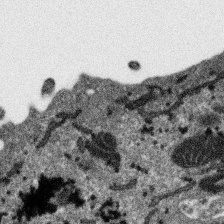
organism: Human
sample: Lung epithelial cells infected with SARS-CoV-2